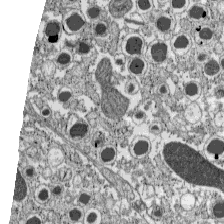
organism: C57BL Mouse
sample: Pancreatic islet